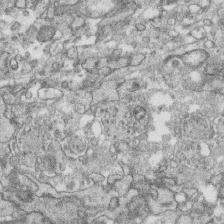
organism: Human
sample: CRL-1474